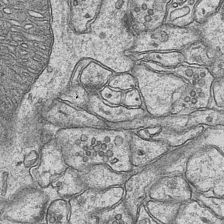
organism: Mouse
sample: CA1 Hippocampus